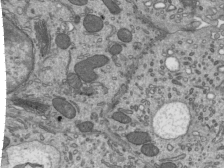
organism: Mouse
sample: Mouse epididymis efferent ductule cilia